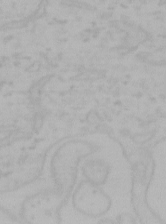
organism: Mouse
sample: Choroid plexus